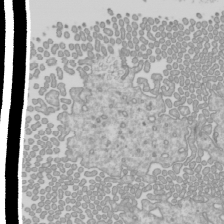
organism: Mouse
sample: Cilia; mouse epididymis